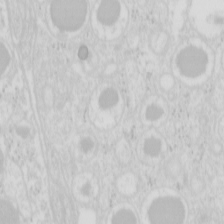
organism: Mouse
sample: Pancreas